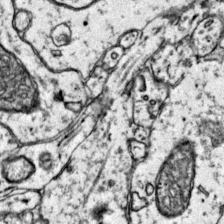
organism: Mouse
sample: Primary visual cortex